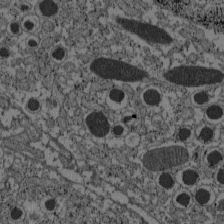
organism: C57BL Mouse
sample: Pancreatic islet